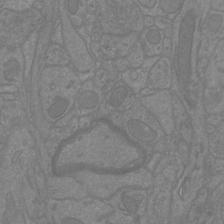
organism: Mouse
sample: Cortical neurons